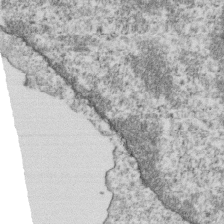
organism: Mouse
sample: Activated OT-1 CD8+ T cells